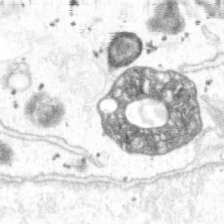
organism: Human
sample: HeLa cells